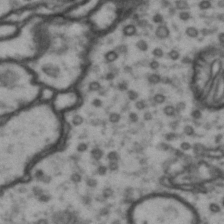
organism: Drosophila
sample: Brain